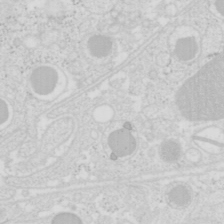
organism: Mouse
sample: Pancreas